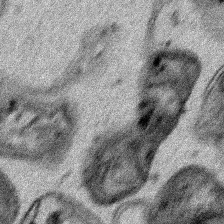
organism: Human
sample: Mitochondria in HCT116 cells